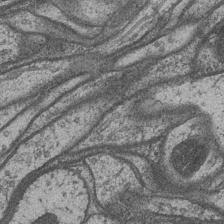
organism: Drosophila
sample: Optic medulla